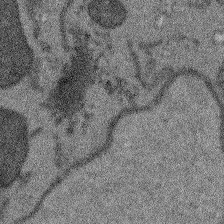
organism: Arabidopsis thaliana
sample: Root tip